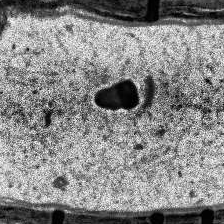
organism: Human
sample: Temporal Lobe